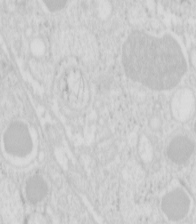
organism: Mouse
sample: Pancreas